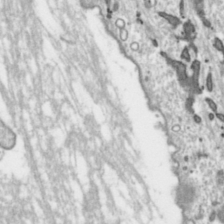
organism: Toxoplasma gondii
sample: Parasites in a vacuole inside a host cell